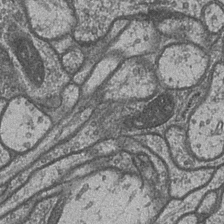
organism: Drosophila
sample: Optic medulla